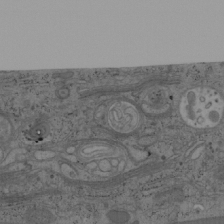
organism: Human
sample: HeLa cells